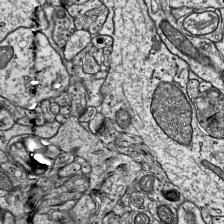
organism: Mouse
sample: Visual Cortex